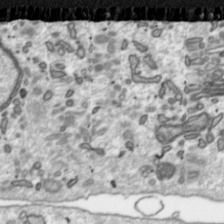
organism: Toxoplasma gondii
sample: Parasites in a vacuole inside a host cell